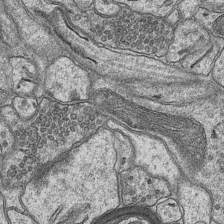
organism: Mouse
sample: CA1 Hippocampus